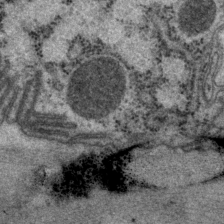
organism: P. pacificus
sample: Pharynx